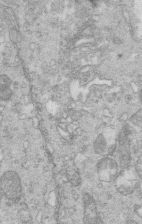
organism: Mouse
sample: Multiciliated cells